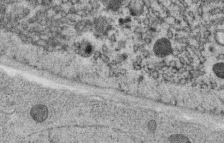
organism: C. elegans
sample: C. elegans oocyte; sperm cells